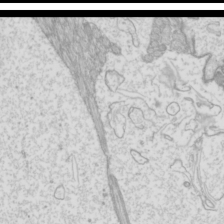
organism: Mouse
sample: Cilia; mouse epididymis